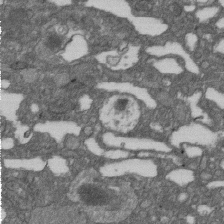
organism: Drosophila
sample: Nephrocyte